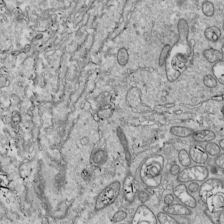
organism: Drosophila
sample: Cell division; meiosis; drosophila spermatocytes